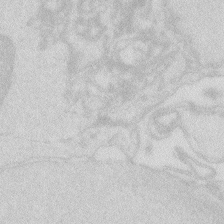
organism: Zebrafish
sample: Macrophage